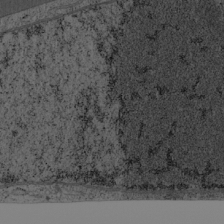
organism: African green monkey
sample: COS-7 cells